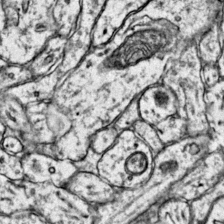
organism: Mouse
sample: Primary visual cortex